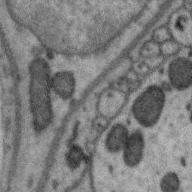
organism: Zebra finch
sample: Brain